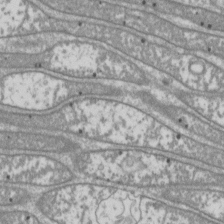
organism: Drosophila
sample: Cell division; meiosis; drosophila spermatocytes